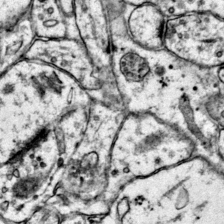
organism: Mouse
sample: Primary visual cortex